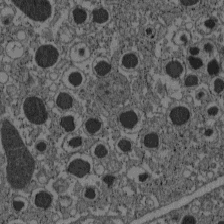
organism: C57BL Mouse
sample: Pancreatic islet